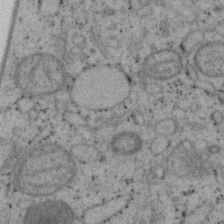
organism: Human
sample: HeLa cells